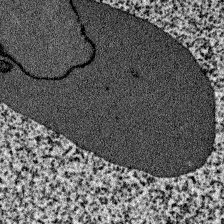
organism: Zebrafish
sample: Larval olfactory bulb